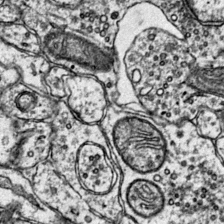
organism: Mouse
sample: Primary visual cortex